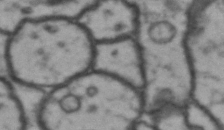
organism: Drosophila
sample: Brain